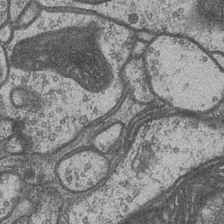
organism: Drosophila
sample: Optic medulla